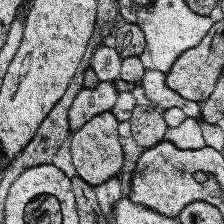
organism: Human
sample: Temporal Lobe